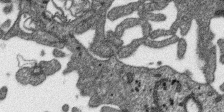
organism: Human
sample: Lung epithelial cells infected with SARS-CoV-2